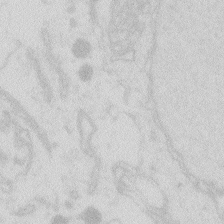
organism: Zebrafish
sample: Macrophage